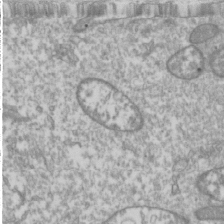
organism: Drosophila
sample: Cell division; meiosis; drosophila spermatocytes